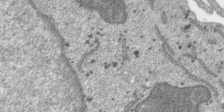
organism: Human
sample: Lung epithelial cells infected with SARS-CoV-2